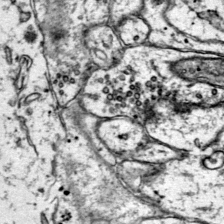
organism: Mouse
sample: Primary visual cortex